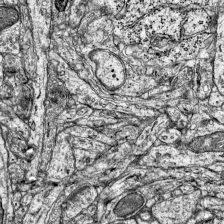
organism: Mouse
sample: Visual Cortex